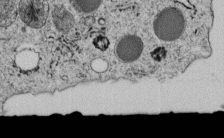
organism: C. elegans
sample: C. elegans embryo early stage